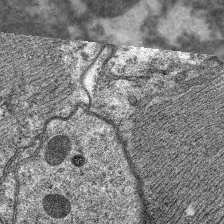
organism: C. elegans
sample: Pharynx